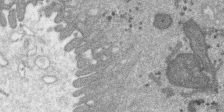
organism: Human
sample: Lung epithelial cells infected with SARS-CoV-2